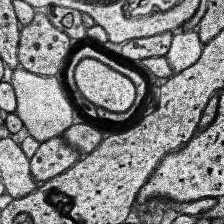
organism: Human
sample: Temporal Lobe